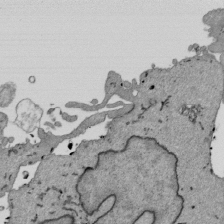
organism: Mouse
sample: ED-1 cell nuclei; centrioles